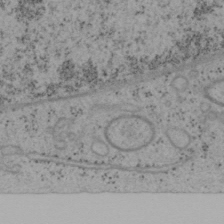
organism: Human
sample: HeLa cells